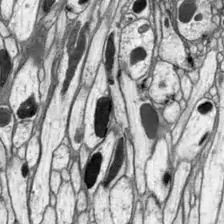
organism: Drosophila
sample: Optic lobe